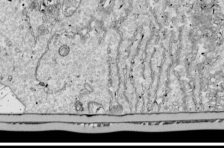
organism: Drosophila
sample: Cell division; meiosis; drosophila spermatocytes